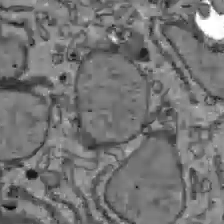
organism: C57BL Mouse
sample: Liver